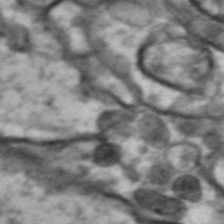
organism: Drosophila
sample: Brain